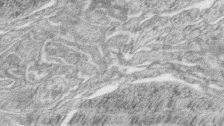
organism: Zebrafish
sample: synaptic ribbons in rod cells and cone cells